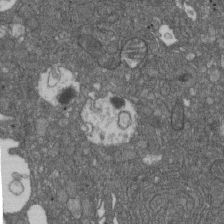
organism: Drosophila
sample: Nephrocyte